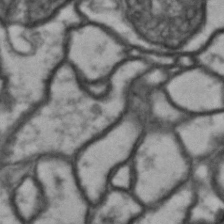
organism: Drosophila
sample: Brain